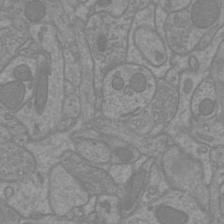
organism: Mouse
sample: Cortical neurons